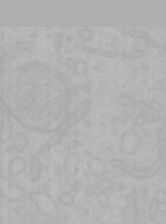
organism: Mouse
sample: Choroid plexus